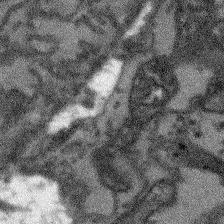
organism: Arabidopsis thaliana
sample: Root tip